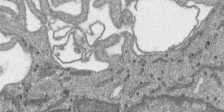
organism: Human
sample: Lung epithelial cells infected with SARS-CoV-2